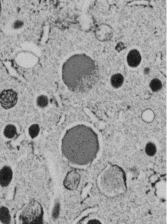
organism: C. elegans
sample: C. elegans embryo early stage